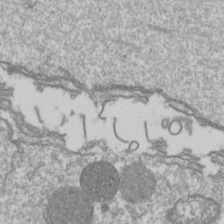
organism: Drosophila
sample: Cell division; meiosis; drosophila spermatocytes